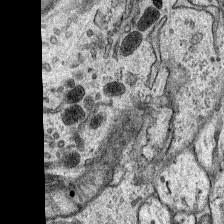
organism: Rat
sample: Hippocampus